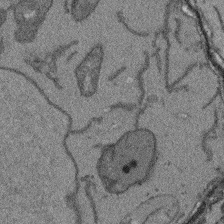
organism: Arabidopsis thaliana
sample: Root tip